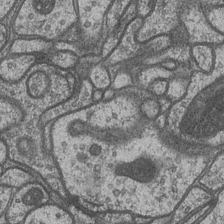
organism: Drosophila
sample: Optic medulla